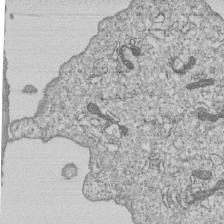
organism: Human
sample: MDA-MB-231 cells